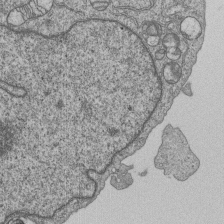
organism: Human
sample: MDA-MB-231 cells